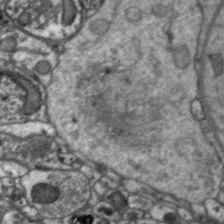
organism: Zebra finch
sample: Brain